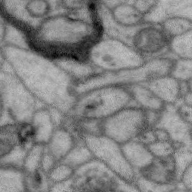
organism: Zebra finch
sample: Brain